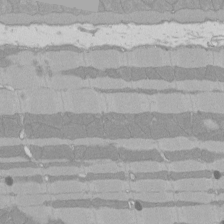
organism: Rat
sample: Left ventricle